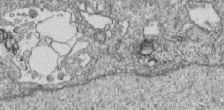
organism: Human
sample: HeLa cell HIV synapse